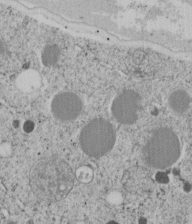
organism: C. elegans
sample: C. elegans embryo early stage